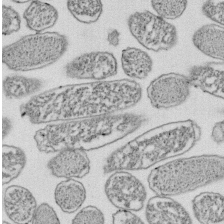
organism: E. coli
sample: Bacterial nucleoid